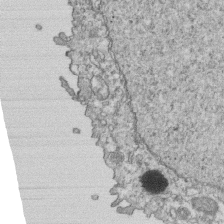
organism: Human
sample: HeLa cell HIV synapse